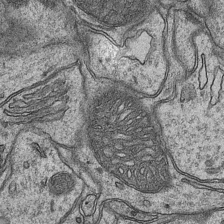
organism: Mouse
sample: CA1 Hippocampus